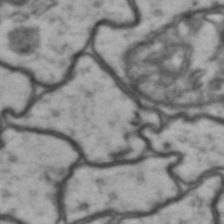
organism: Drosophila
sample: Brain